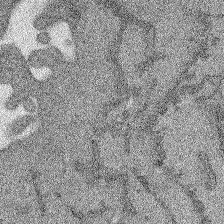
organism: Human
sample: HeLa cells